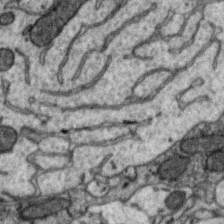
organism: Zebra finch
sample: Brain